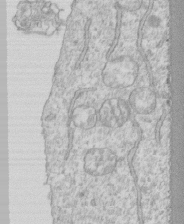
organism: Human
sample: CRL-1474